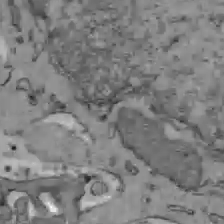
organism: C57BL Mouse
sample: Liver